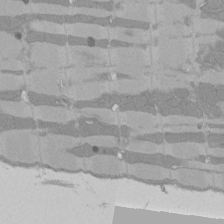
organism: Rat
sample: Left ventricle